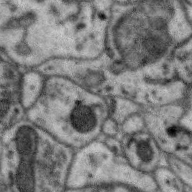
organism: Zebra finch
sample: Brain